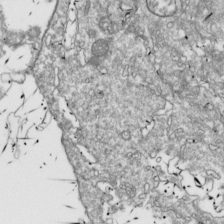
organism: Drosophila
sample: Cell division; meiosis; drosophila spermatocytes